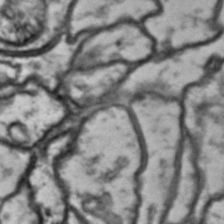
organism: Drosophila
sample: Brain